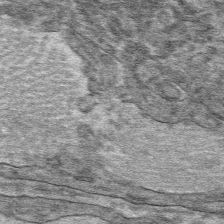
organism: Mouse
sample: Mouse hepatocytes